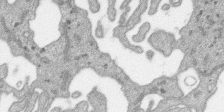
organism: Human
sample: Lung epithelial cells infected with SARS-CoV-2